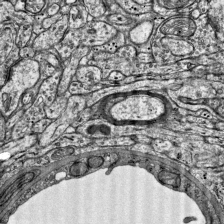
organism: Mouse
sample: Visual Cortex